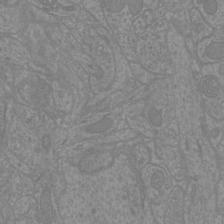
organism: Mouse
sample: Cortical neurons